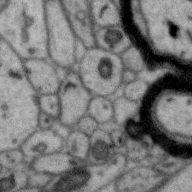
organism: Zebra finch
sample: Brain